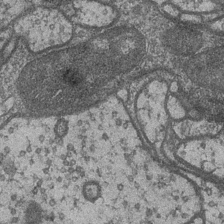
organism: Drosophila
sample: Optic medulla